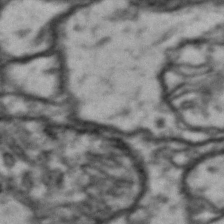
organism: Drosophila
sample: Brain